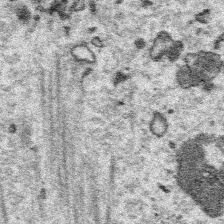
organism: Platynereis dumerilii